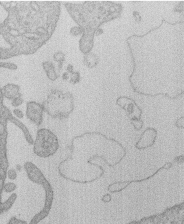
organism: Human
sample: Macrophage cells